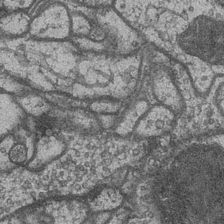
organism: Drosophila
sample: Optic medulla